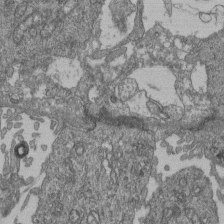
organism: Human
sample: Retinal organoid Rod and Cone cells